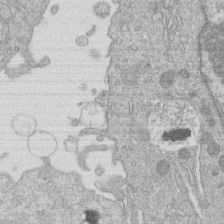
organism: Human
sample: Macrophage cells